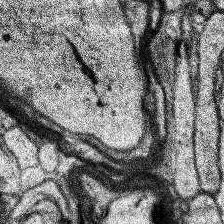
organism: Human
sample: Temporal Lobe